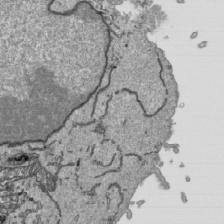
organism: Human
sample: Mitochondria in HCT116 cells